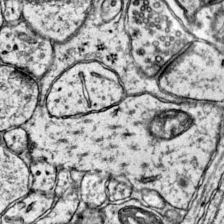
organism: Mouse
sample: Primary visual cortex